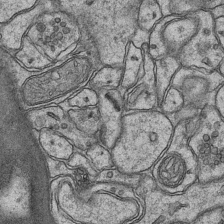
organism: Mouse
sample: CA1 Hippocampus